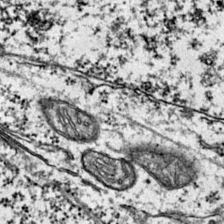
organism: Mouse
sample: Primary visual cortex